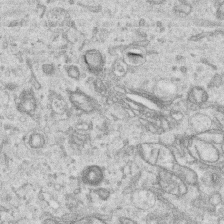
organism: Human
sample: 1205lu cells